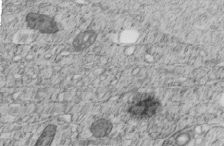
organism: C. elegans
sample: C. elegans embryo early stage